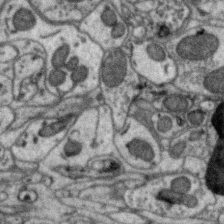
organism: Zebra finch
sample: Brain